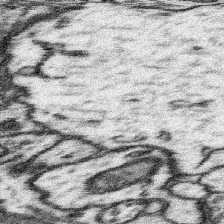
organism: Mouse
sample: Somatosensory cortex neuropil